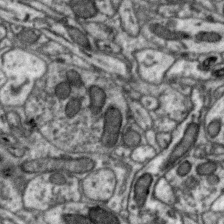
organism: Zebra finch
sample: Brain